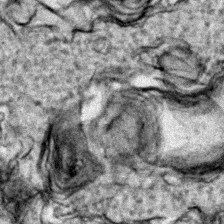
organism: Zebrafish